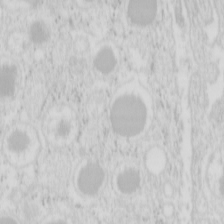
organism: Mouse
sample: Pancreas